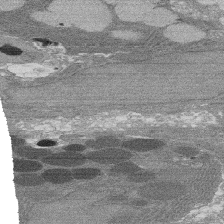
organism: Rat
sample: Salivary granule